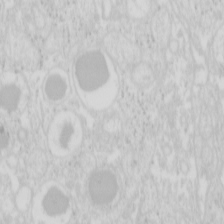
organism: Mouse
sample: Pancreas